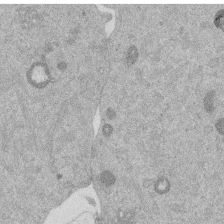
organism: Mouse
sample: Dividing mouse embryo 1 cell stage